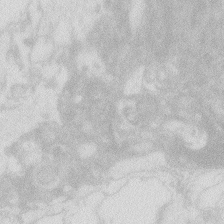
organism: Zebrafish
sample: Macrophage